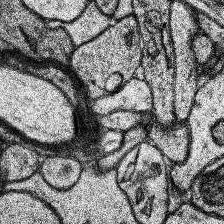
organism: Human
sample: Temporal Lobe